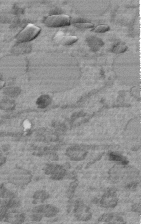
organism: C. elegans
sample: C. elegans embryo early stage